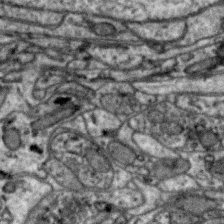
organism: Zebra finch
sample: Brain